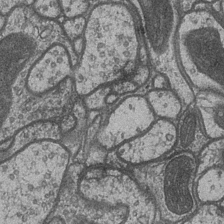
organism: Drosophila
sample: Optic medulla